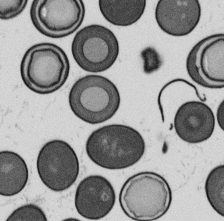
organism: B. subtilis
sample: Bacterial spore